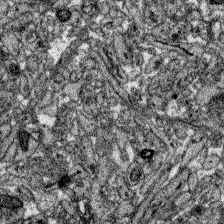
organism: Zebrafish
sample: Larval olfactory bulb